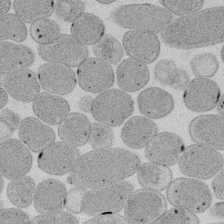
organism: E. coli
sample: Bacterial nucleoid